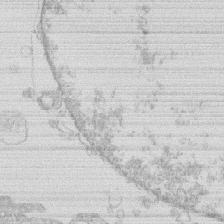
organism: Human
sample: Macrophage cells